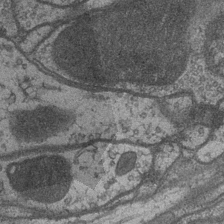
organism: Drosophila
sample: Optic medulla